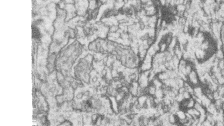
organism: Zebrafish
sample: synaptic ribbons in rod cells and cone cells